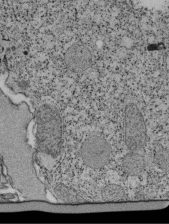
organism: Tetrahymena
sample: Cilia in tetrahymena